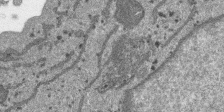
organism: Human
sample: Lung epithelial cells infected with SARS-CoV-2